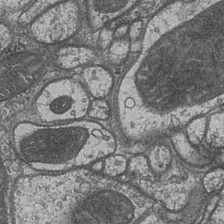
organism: Drosophila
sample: Optic medulla